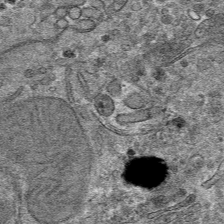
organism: Mouse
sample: Mouse hepatocytes